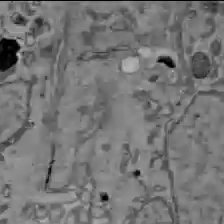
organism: C57BL Mouse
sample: Liver